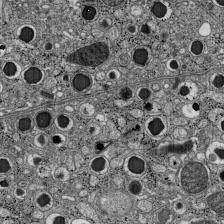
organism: C57BL Mouse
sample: Pancreatic islet